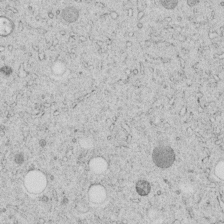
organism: C. elegans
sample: C. elegans embryo early stage